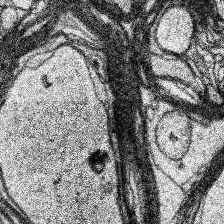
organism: Human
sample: Temporal Lobe